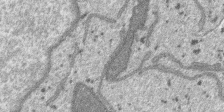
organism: Human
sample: Lung epithelial cells infected with SARS-CoV-2